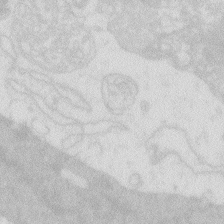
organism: Zebrafish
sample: Macrophage